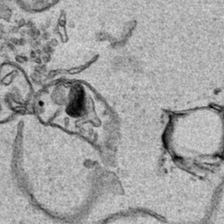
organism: Human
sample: Mitochondria in HCT116 cells